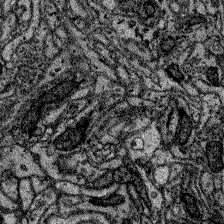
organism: Zebrafish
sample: Larval olfactory bulb